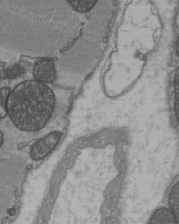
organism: C57BL Mouse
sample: Heart